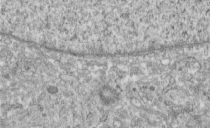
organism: Human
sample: Centriole in fibroblast cells